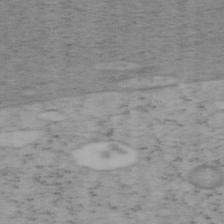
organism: Mouse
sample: OT-I killer T cells with ID8 ovarian cancer cells